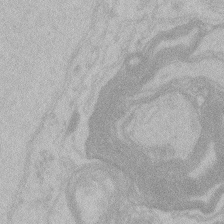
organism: Zebrafish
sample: Macrophage infected with Toxoplasma gondii